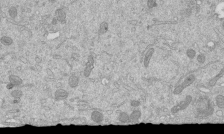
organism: Mouse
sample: ED-1 cell nuclei; centrioles